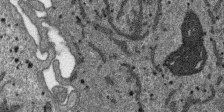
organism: Human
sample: Lung epithelial cells infected with SARS-CoV-2